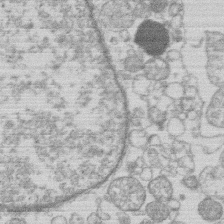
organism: Human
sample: Macrophage cells